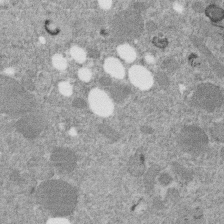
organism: C. elegans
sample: C. elegans embryo early stage